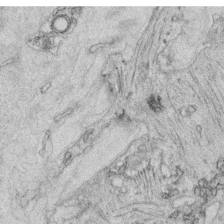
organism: C. elegans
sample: C. elegans oocyte; sperm cells